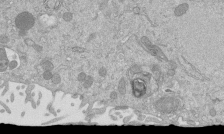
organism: Mouse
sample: ED-1 cell nuclei; centrioles